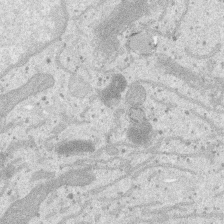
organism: Human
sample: Lung epithelial cells infected with SARS-CoV-2